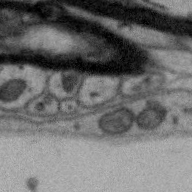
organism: Zebra finch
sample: Brain